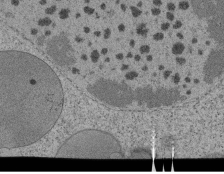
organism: Tetrahymena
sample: Cilia in tetrahymena